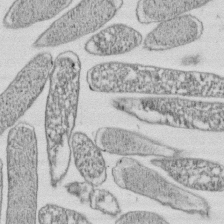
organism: E. coli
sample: Bacterial nucleoid